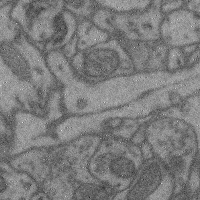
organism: Mouse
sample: Cerebral cortex